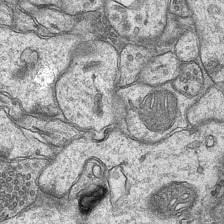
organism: Mouse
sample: CA1 Hippocampus